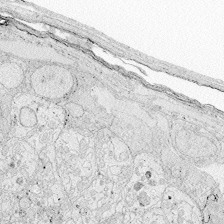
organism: Zebrafish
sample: Whole-Brain